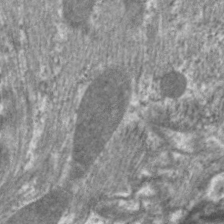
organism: C. elegans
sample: Pharynx